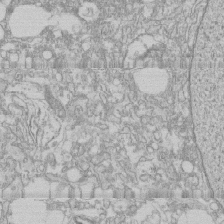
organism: Human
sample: CRL-1474